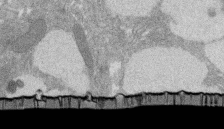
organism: Rat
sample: Salivary granule